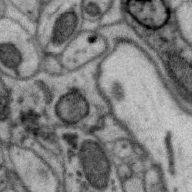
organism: Zebra finch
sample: Brain